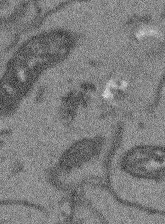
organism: Arabidopsis thaliana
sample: Root tip